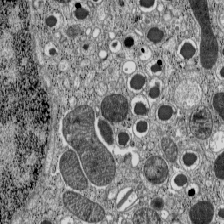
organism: C57BL Mouse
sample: Pancreatic islet